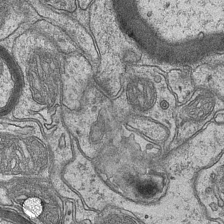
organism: Mouse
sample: CA1 Hippocampus